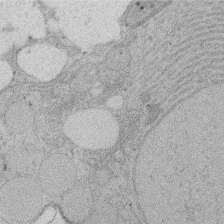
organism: Rat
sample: Salivary granule